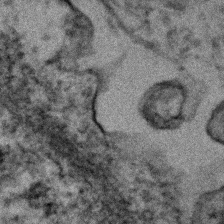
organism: Human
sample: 1205lu cells